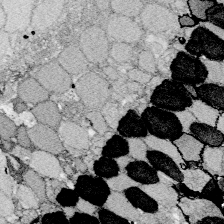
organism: Zebrafish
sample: Whole-Brain